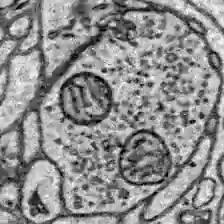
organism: Zebrafish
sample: Brain